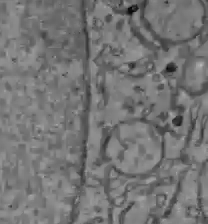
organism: C57BL Mouse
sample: Liver